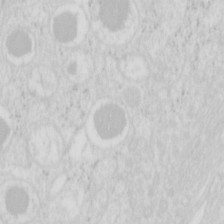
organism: Mouse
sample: Pancreas